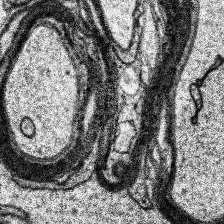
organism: Human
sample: Temporal Lobe